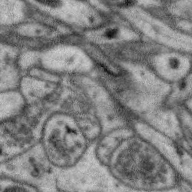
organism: Zebra finch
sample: Brain